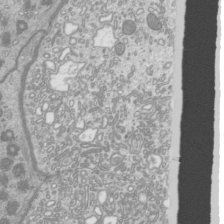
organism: Mouse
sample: Cilia; mouse epididymis